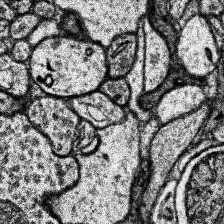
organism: Human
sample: Temporal Lobe